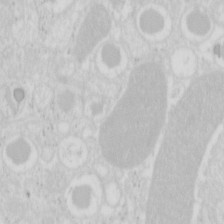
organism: Mouse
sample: Pancreas